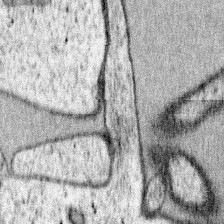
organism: Human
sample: HeLa cells